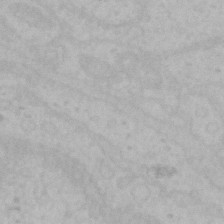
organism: Mouse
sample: Choroid plexus